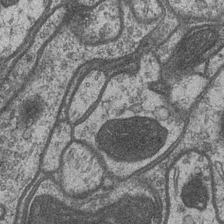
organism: Drosophila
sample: Optic medulla